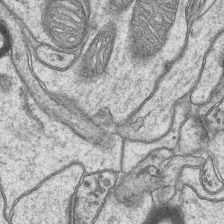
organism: Mouse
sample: CA1 Hippocampus